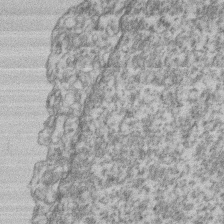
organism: Mouse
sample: T cell stromal cell synapse